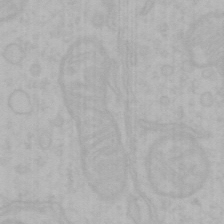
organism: Mouse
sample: Choroid plexus